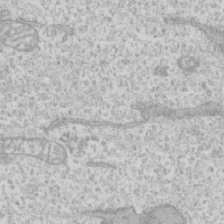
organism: Human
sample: CRL-1474